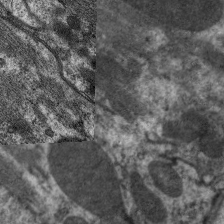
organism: C. elegans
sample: Pharynx